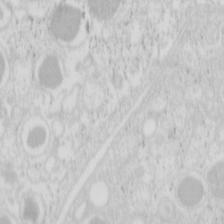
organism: Mouse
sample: Pancreas